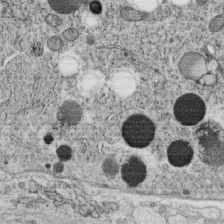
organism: C. elegans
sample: C. elegans oocyte; sperm cells